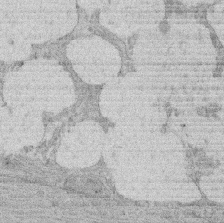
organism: Rat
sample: Salivary granule